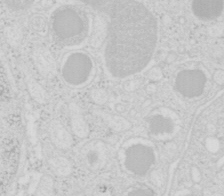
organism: Mouse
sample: Pancreas